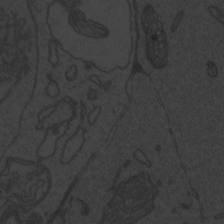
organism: Zebrafish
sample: Macrophage infected with Toxoplasma gondii